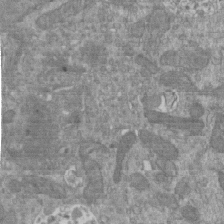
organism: Mouse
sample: ED-1 cell nuclei; centrioles